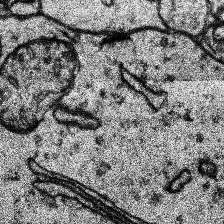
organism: Human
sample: Temporal Lobe